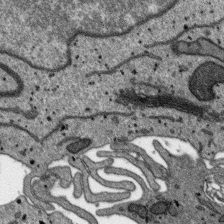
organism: Human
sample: Lung epithelial cells, uninfected (mock) control